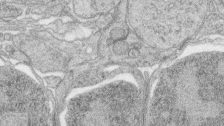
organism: Zebrafish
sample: synaptic ribbons in rod cells and cone cells